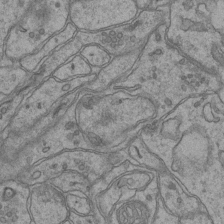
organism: Mouse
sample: CA1 Hippocampus